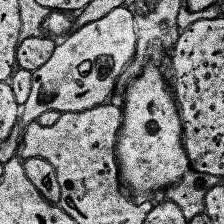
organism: Human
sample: Temporal Lobe